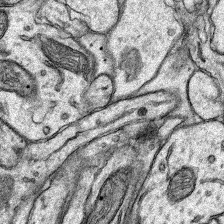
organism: Rat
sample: Hippocampus